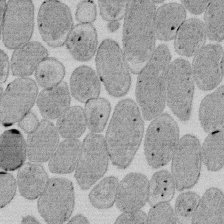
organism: E. coli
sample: Bacterial nucleoid